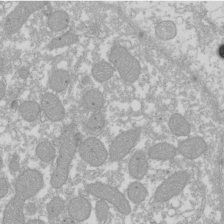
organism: Xenopus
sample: Cilia; centrioles in frog embryo cells